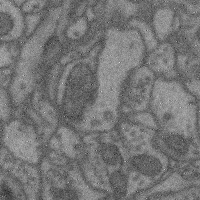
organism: Mouse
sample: Cerebral cortex